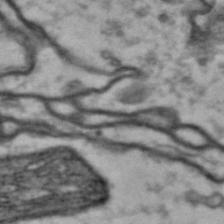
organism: Drosophila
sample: Brain